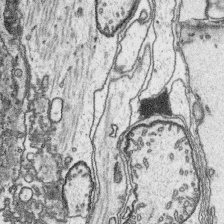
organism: Platynereis dumerilii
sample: Parapodia